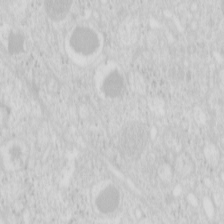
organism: Mouse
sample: Pancreas